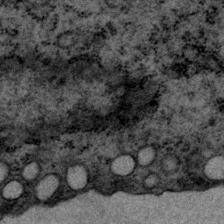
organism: P. pacificus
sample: Pharynx